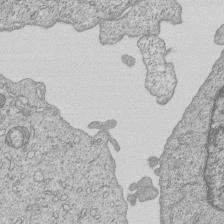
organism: Human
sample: MDA-MB-231 cells